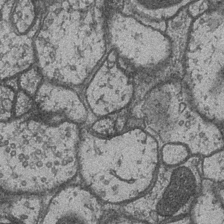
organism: Drosophila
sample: Optic medulla